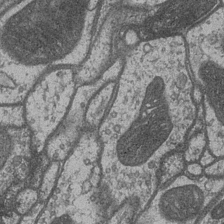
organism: Drosophila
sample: Optic medulla